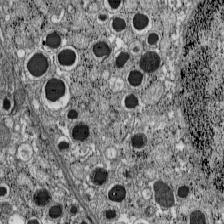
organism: C57BL Mouse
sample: Pancreatic islet